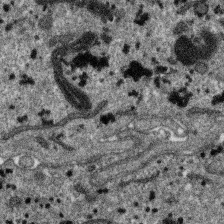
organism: Human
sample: Lung epithelial cells infected with SARS-CoV-2